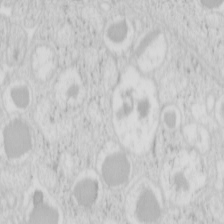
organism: Mouse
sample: Pancreas